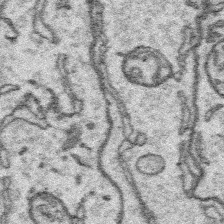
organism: Platynereis dumerilii